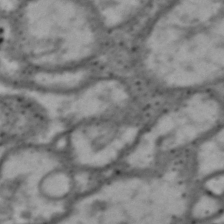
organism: Drosophila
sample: Brain